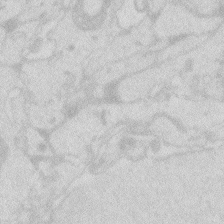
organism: Zebrafish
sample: Macrophage